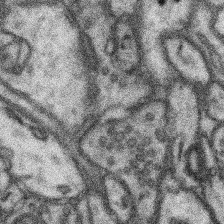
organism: Mouse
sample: Somatosensory cortex neuropil